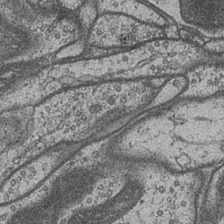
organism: Drosophila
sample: Optic medulla